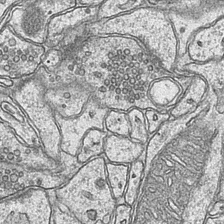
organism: Mouse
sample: CA1 Hippocampus